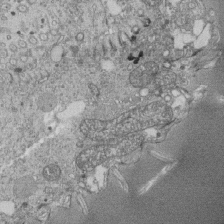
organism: Tetrahymena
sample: Cilia in tetrahymena